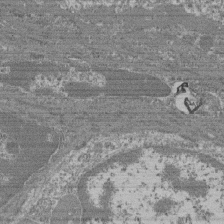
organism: Mouse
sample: Glomerulus